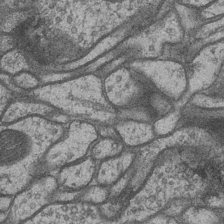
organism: Drosophila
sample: Optic medulla